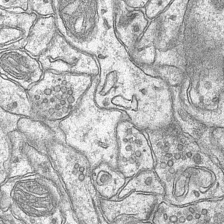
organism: Mouse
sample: CA1 Hippocampus